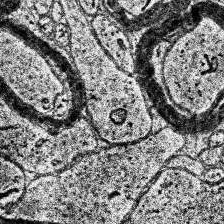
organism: Human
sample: Temporal Lobe